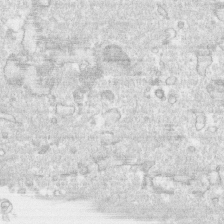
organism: Human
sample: CRL-1474